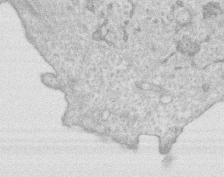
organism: Human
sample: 1205lu cells